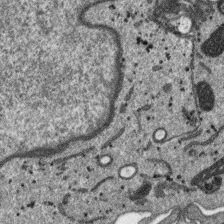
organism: Human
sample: Lung epithelial cells infected with SARS-CoV-2